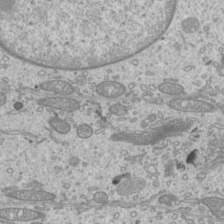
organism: Mouse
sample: Cilia; mouse epididymis